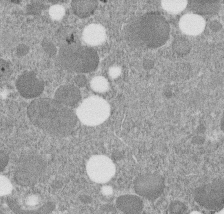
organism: C. elegans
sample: C. elegans embryo early stage